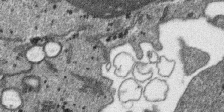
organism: Human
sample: Lung epithelial cells infected with SARS-CoV-2